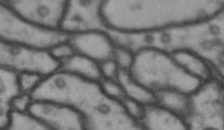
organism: Drosophila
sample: Brain